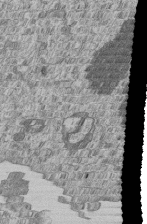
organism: Human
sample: MDA-MB-231 cells